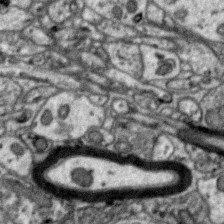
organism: Zebra finch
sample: Brain